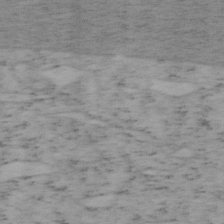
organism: Mouse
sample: OT-I killer T cells with ID8 ovarian cancer cells